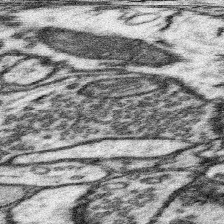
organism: Mouse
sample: Somatosensory cortex neuropil